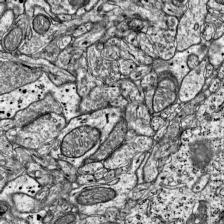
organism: Mouse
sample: Visual Cortex